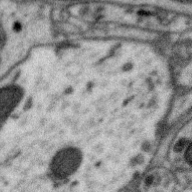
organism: Zebra finch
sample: Brain